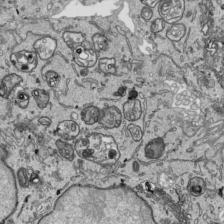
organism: Human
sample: Mitochondria in HCT116 cells